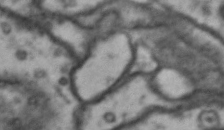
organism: Drosophila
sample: Brain